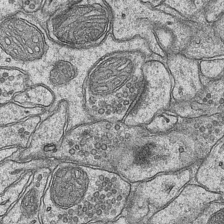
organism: Mouse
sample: CA1 Hippocampus